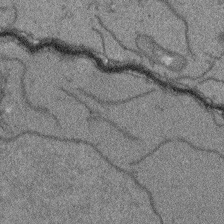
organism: Arabidopsis thaliana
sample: Root tip